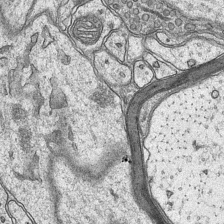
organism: Mouse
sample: CA1 Hippocampus